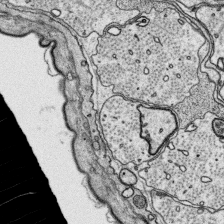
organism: Platynereis dumerilii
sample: Parapodia